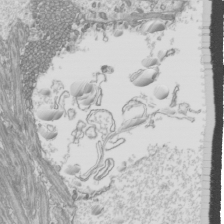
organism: Mouse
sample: Cilia; mouse epididymis